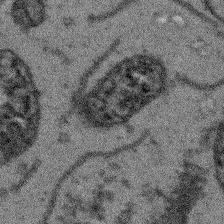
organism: Arabidopsis thaliana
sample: Root tip